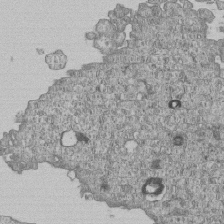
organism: Human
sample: MDA-MB-231 cells